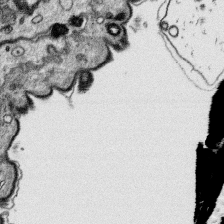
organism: Platynereis dumerilii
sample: Parapodia